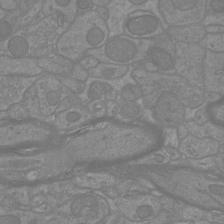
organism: Mouse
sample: Cortical neurons